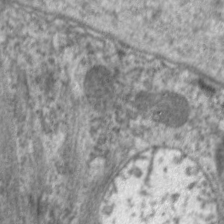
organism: C. elegans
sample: Pharynx